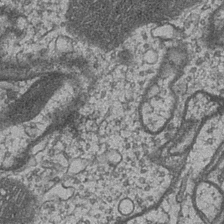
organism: Drosophila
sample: Optic medulla